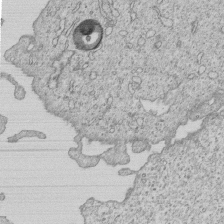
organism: Human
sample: MDA-MB-231 cells